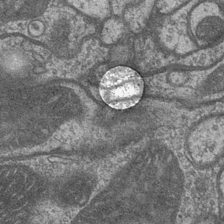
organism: Drosophila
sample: Optic medulla